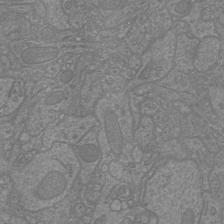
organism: Mouse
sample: Cortical neurons